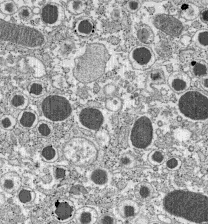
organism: C57BL Mouse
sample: Pancreatic islet